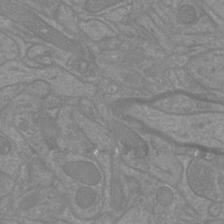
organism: Mouse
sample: Cortical neurons